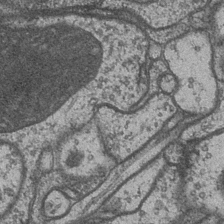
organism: Drosophila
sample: Optic medulla